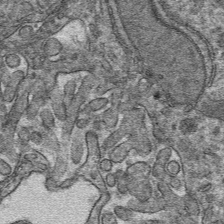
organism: Mouse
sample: Mouse hepatocytes